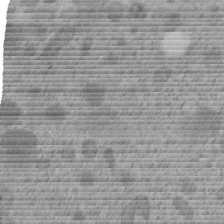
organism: C. elegans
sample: C. elegans embryo early stage